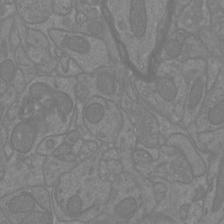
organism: Mouse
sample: Cortical neurons